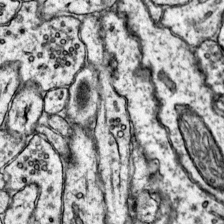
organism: Mouse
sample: Primary visual cortex